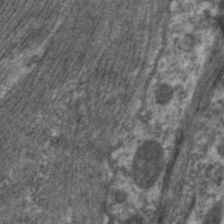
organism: C. elegans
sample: Pharynx